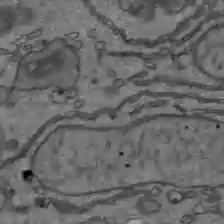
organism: C57BL Mouse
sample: Liver